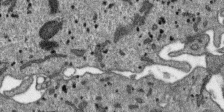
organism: Human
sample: Lung epithelial cells, uninfected (mock) control